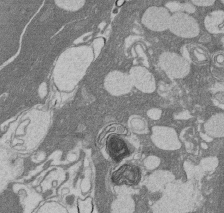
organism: Rat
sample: Salivary granule